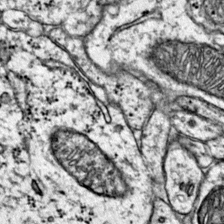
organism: Mouse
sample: Primary visual cortex